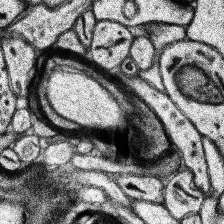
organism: Human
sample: Temporal Lobe